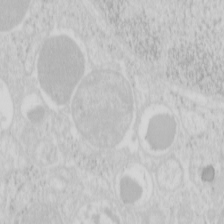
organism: Mouse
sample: Pancreas